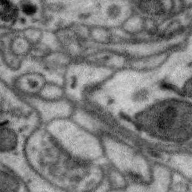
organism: Zebra finch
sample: Brain